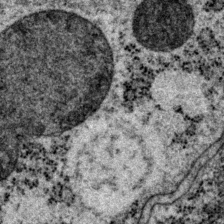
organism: P. pacificus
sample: Pharynx